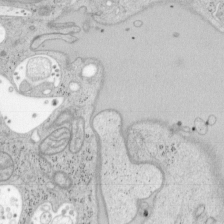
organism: Mouse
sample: OT-I killer T cells with ID8 ovarian cancer cells